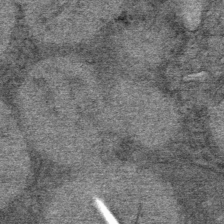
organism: Mouse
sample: Mouse Salivary gland